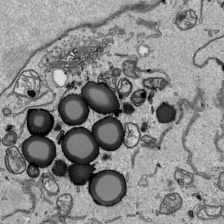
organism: Human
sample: Mitochondria in HCT116 cells